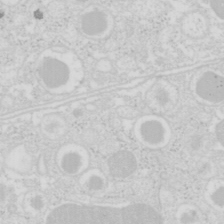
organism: Mouse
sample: Pancreas